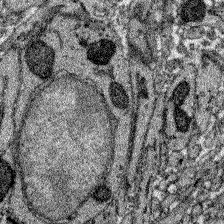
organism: Zebrafish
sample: Larval olfactory bulb